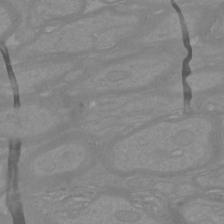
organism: Mouse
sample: Cortical neurons